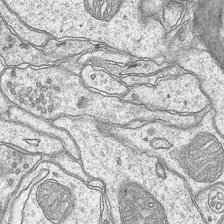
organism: Mouse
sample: CA1 Hippocampus